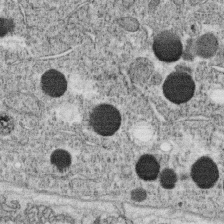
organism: C. elegans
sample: C. elegans oocyte; sperm cells